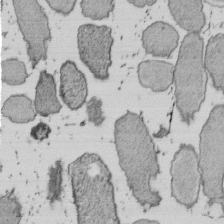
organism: E. coli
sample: Bacterial nucleoid